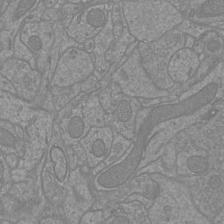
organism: Mouse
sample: Cortical neurons